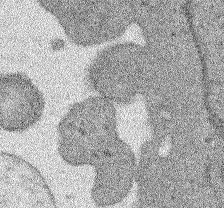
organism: Human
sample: HeLa cells